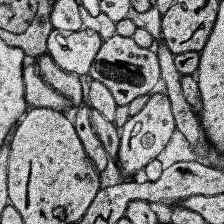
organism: Human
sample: Temporal Lobe